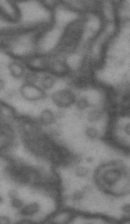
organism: Drosophila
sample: Brain